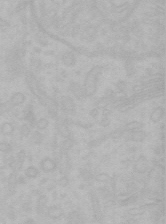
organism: Mouse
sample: Choroid plexus